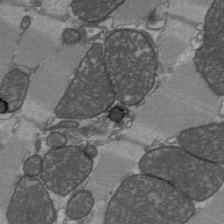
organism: C57BL Mouse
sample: Heart